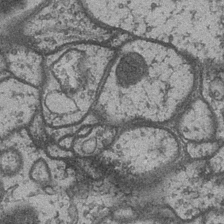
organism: Drosophila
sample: Optic medulla